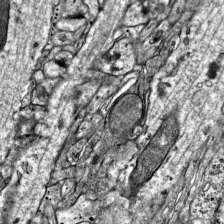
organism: Mouse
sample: Visual Cortex